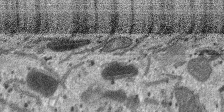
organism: Human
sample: Lung epithelial cells infected with SARS-CoV-2